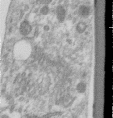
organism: Human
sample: Centriole in RPE cells